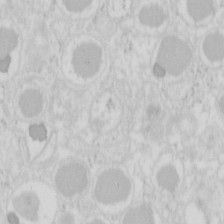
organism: Mouse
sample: Pancreas